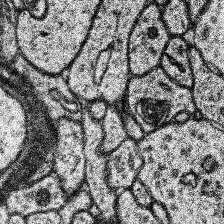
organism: Human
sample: Temporal Lobe